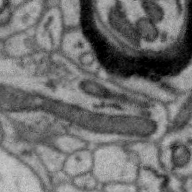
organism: Zebra finch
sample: Brain